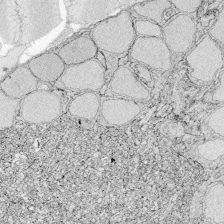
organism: Zebrafish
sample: Whole-Brain